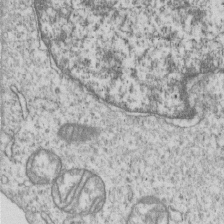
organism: Human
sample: MDA-MB-231 cells